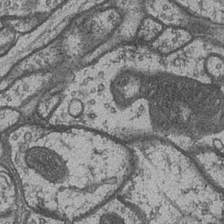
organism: Drosophila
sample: Optic medulla